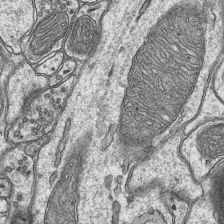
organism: Mouse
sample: CA1 Hippocampus